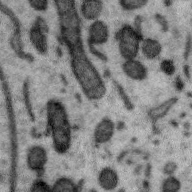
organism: Zebra finch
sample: Brain